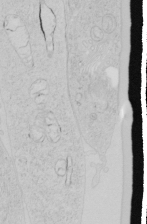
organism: Human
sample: Mitochondria in HCT116 cells